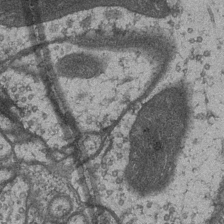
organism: Drosophila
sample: Optic medulla